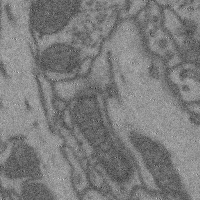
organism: Mouse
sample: Cerebral cortex